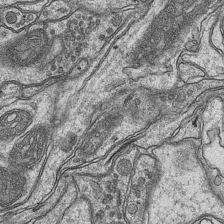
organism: Mouse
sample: CA1 Hippocampus